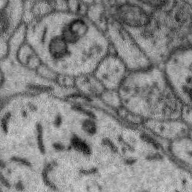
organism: Zebra finch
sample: Brain